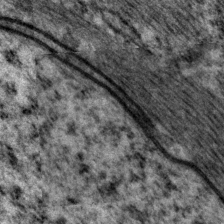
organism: P. pacificus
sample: Pharynx